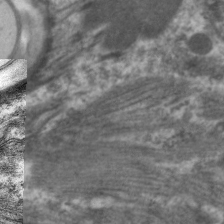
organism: C. elegans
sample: Pharynx